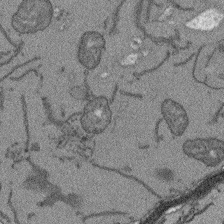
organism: Arabidopsis thaliana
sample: Root tip